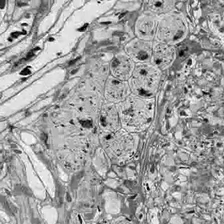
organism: Drosophila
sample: Optic lobe